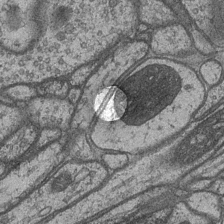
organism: Drosophila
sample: Optic medulla